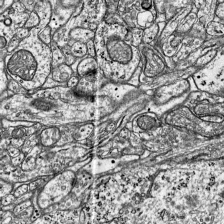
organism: Mouse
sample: Visual Cortex